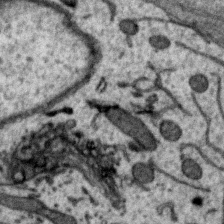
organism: Zebra finch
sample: Brain